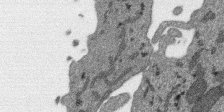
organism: Human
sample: Lung epithelial cells infected with SARS-CoV-2